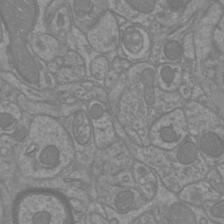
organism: Mouse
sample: Cortical neurons